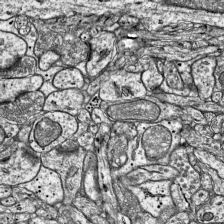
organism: Mouse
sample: Visual Cortex